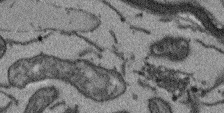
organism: Arabidopsis thaliana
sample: Root tip